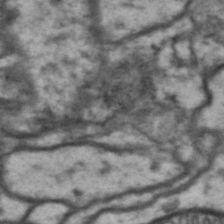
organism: Drosophila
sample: Brain